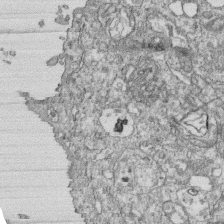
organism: Human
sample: HeLa cell HIV synapse